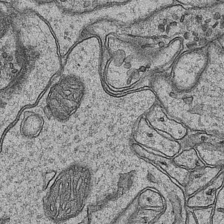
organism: Mouse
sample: CA1 Hippocampus